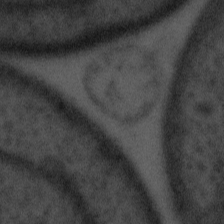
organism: Tuwongella immobilis